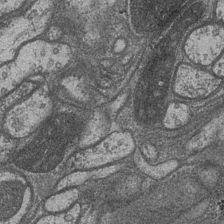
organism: Drosophila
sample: Optic medulla